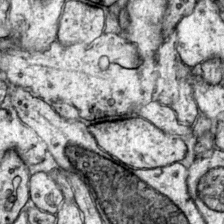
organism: Mouse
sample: Primary visual cortex